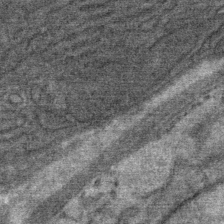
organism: Mouse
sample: Mouse Salivary gland